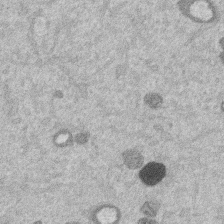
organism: Mouse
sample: Dividing mouse embryo 1 cell stage